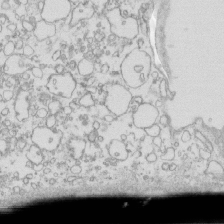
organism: Mouse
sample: Macrophages